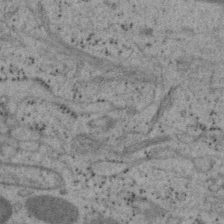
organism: Human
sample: HeLa cells